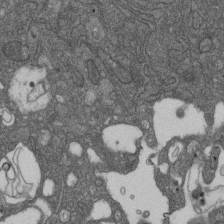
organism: Drosophila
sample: Nephrocyte